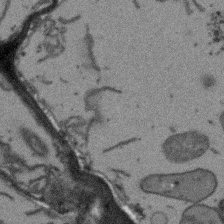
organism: Arabidopsis thaliana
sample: Root tip